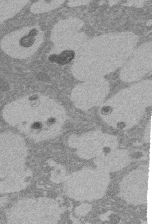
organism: Rat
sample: Salivary granule